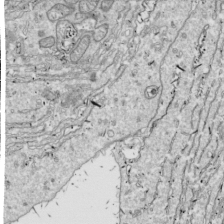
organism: Drosophila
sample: Cell division; meiosis; drosophila spermatocytes